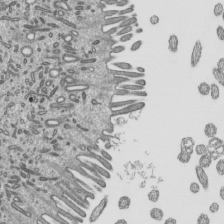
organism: Mouse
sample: Mouse epididymis efferent ductule cilia